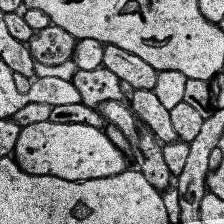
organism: Human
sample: Temporal Lobe